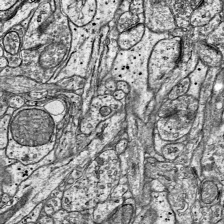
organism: Mouse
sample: Visual Cortex